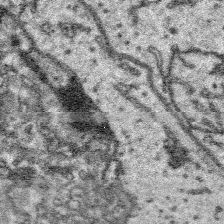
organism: Platynereis dumerilii